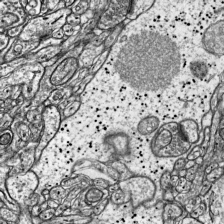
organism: Mouse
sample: Visual Cortex